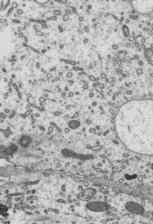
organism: Mouse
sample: Mouse epididymis efferent ductule cilia